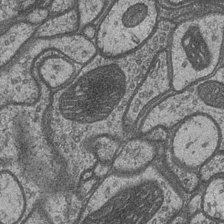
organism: Drosophila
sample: Optic medulla